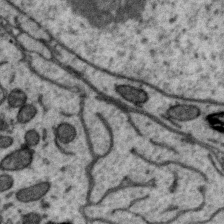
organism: Zebra finch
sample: Brain